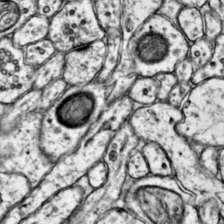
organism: Mouse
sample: Primary visual cortex